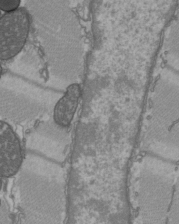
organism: C57BL Mouse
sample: Heart